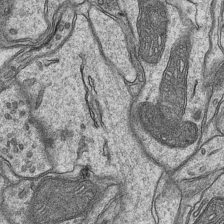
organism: Mouse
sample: CA1 Hippocampus